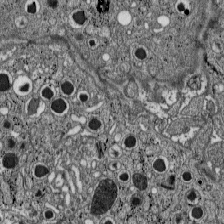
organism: C57BL Mouse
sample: Pancreatic islet